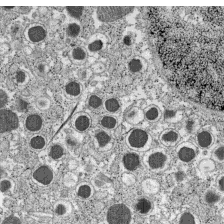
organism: C57BL Mouse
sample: Pancreatic islet